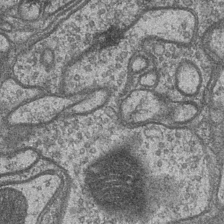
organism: Drosophila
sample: Optic medulla